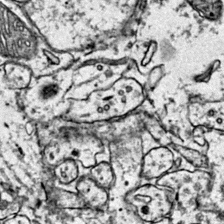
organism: Mouse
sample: Primary visual cortex